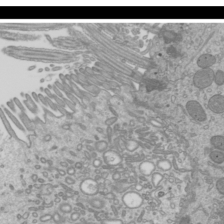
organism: Mouse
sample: Cilia; mouse epididymis